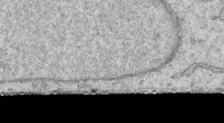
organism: Human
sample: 1205lu cells